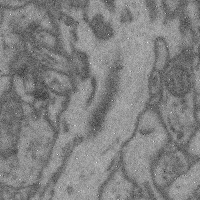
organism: Mouse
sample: Cerebral cortex